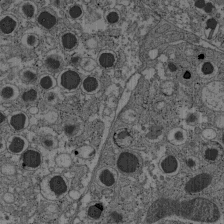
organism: C57BL Mouse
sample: Pancreatic islet